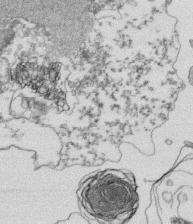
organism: Human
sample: HeLa cell HIV synapse